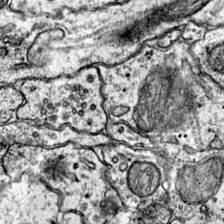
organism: Mouse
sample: Primary visual cortex